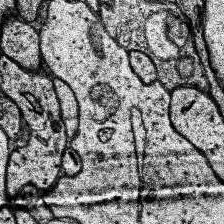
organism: Human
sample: Temporal Lobe